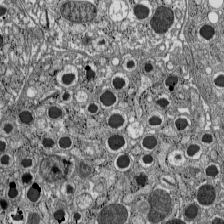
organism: C57BL Mouse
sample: Pancreatic islet